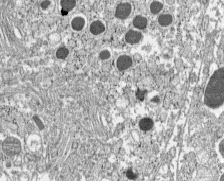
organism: C57BL Mouse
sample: Pancreatic islet